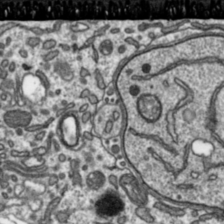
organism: Toxoplasma gondii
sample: Parasites in a vacuole inside a host cell